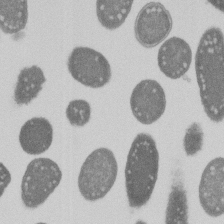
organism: E. coli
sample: Bacterial nucleoid